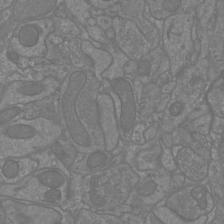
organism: Mouse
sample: Cortical neurons